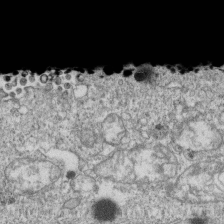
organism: Human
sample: HeLa cell HIV synapse